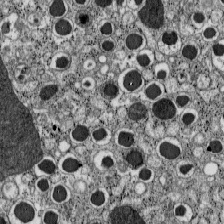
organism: C57BL Mouse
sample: Pancreatic islet